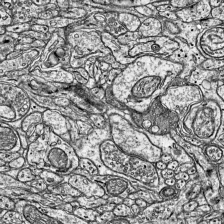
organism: Mouse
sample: Visual Cortex